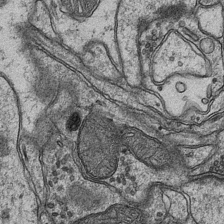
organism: Mouse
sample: CA1 Hippocampus